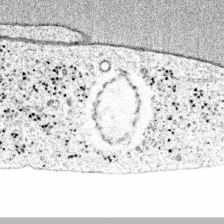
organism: Human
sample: HeLa cells